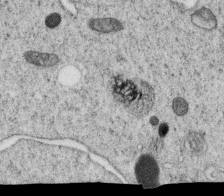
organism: C. elegans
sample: C. elegans oocyte; sperm cells